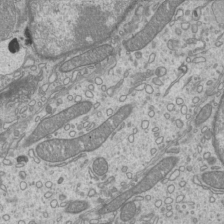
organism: Mouse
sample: Cilia; mouse epididymis